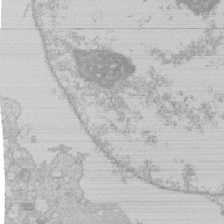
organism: Human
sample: Macrophage cells